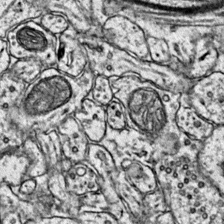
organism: Mouse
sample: Primary visual cortex